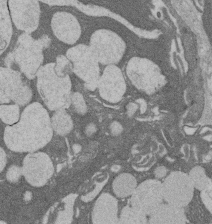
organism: Rat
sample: Salivary granule